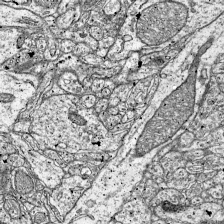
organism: Mouse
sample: Visual Cortex